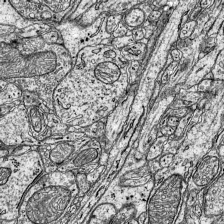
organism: Mouse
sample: Visual Cortex